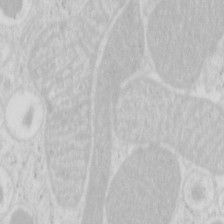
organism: Mouse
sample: Pancreas